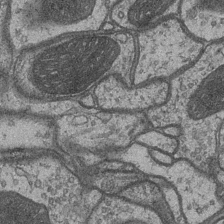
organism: Drosophila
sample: Optic medulla